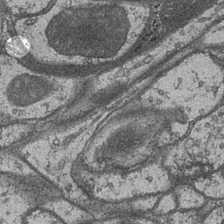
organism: Drosophila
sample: Optic medulla